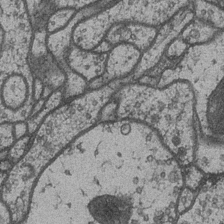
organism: Drosophila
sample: Optic medulla